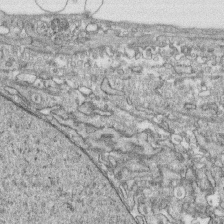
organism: Human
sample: CRL-1474